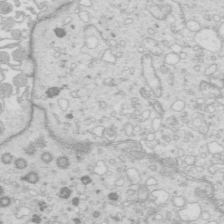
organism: Mouse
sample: Multiciliated cells